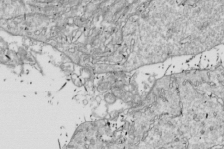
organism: Drosophila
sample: Cell division; meiosis; drosophila spermatocytes